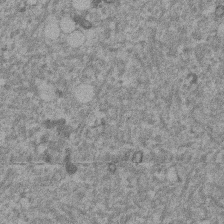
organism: Mouse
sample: Dividing mouse embryo 1 cell stage